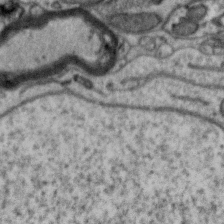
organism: Zebra finch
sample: Brain